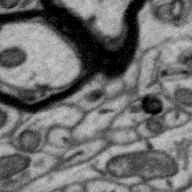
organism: Zebra finch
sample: Brain